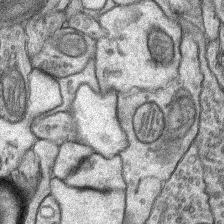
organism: Rat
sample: Hippocampus